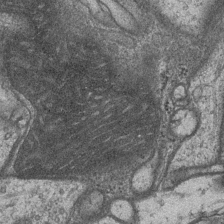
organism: Drosophila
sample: Optic medulla